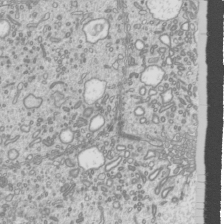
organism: Mouse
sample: Cilia; mouse epididymis